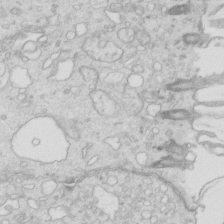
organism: Mouse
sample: Multiciliated cells